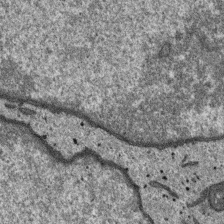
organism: Human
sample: Lung epithelial cells, uninfected (mock) control